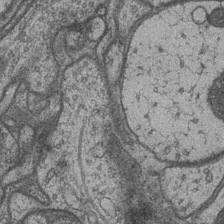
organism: Drosophila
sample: Optic medulla